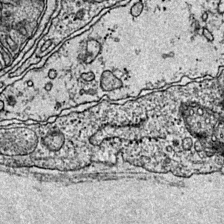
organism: Mouse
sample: Primary visual cortex